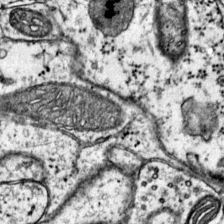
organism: Mouse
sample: Primary visual cortex